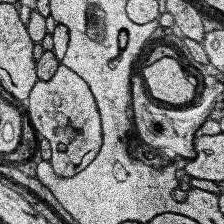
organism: Human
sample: Temporal Lobe